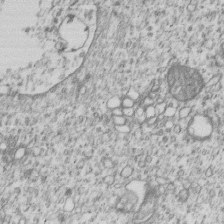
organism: Human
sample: MDA-MB-231 cells